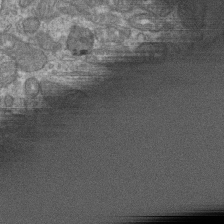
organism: Human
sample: Retinal organoid Rod and Cone cells